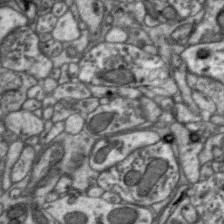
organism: Zebra finch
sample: Brain